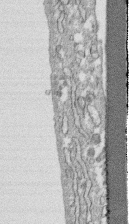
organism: Human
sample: CRL-1474